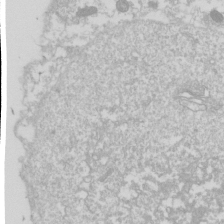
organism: Drosophila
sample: Cell division; meiosis; drosophila spermatocytes